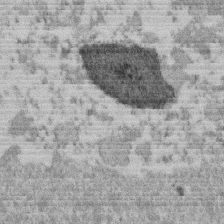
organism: Mouse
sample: Dividing mouse embryo 1 cell stage